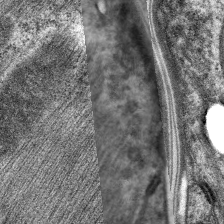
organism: C. elegans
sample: Pharynx